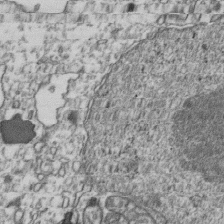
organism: Human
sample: Activated Jurkat CD4+ T cells